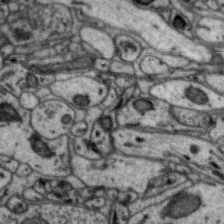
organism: Zebra finch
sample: Brain